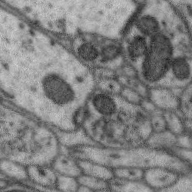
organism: Zebra finch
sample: Brain